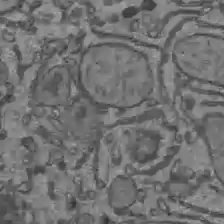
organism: C57BL Mouse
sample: Liver